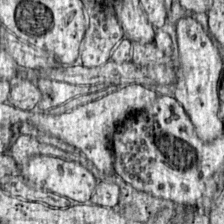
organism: Mouse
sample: Primary visual cortex